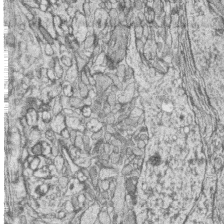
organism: Zebrafish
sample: synaptic ribbons in rod cells and cone cells